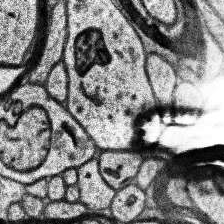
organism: Human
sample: Temporal Lobe